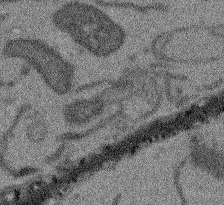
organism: Arabidopsis thaliana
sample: Root tip